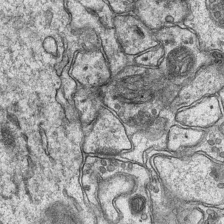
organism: Mouse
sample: CA1 Hippocampus